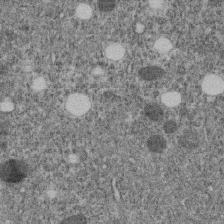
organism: C. elegans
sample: C. elegans embryo early stage